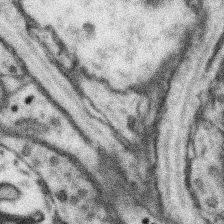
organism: Mouse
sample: Somatosensory cortex neuropil